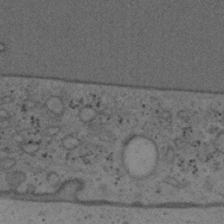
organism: Human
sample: HeLa cells